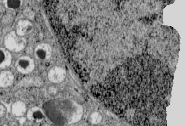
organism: C57BL Mouse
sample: Pancreatic islet